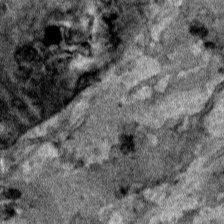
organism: Human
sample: Mitochondria in HCT116 cells